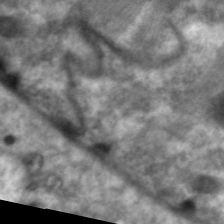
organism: C. elegans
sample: Pharynx